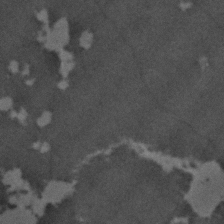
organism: C. elegans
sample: C. elegans embryo